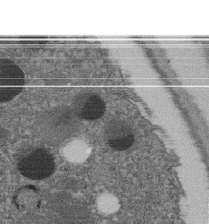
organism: C. elegans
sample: C. elegans embryo early stage